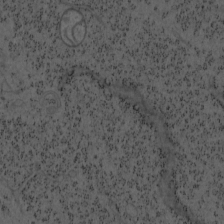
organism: Mouse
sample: OT-I killer T cells with ID8 ovarian cancer cells